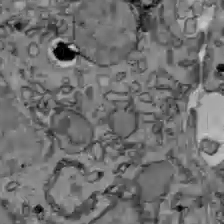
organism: C57BL Mouse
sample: Liver